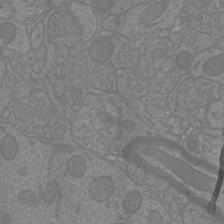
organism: Mouse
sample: Cortical neurons